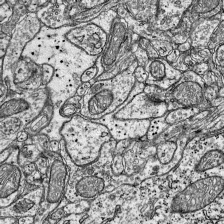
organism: Mouse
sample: Visual Cortex